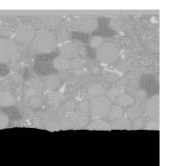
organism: C. elegans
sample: C. elegans oocyte; sperm cells